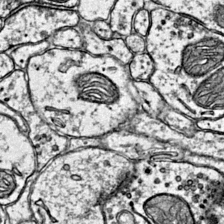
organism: Mouse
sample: Primary visual cortex